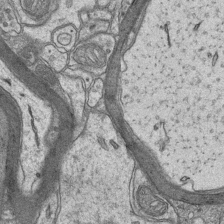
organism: Mouse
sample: CA1 Hippocampus